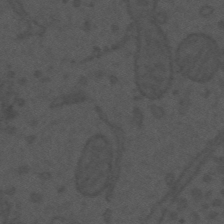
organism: Mouse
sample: Suprachiasmatic nucleus